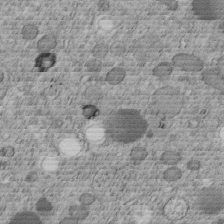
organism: C. elegans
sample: C. elegans embryo early stage